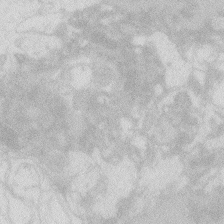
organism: Zebrafish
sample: Macrophage